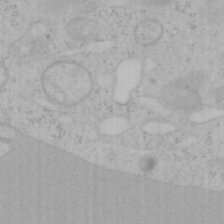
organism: Mouse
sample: OT-I killer T cells with ID8 ovarian cancer cells